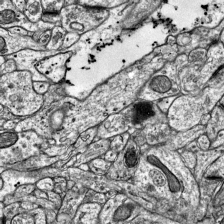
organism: Mouse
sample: Visual Cortex